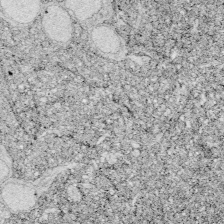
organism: Zebrafish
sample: Whole-Brain